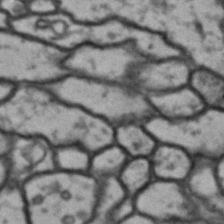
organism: Drosophila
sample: Brain